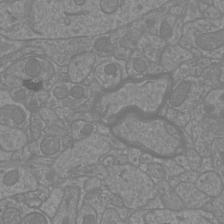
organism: Mouse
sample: Cortical neurons